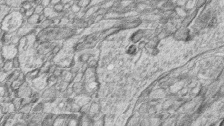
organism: Zebrafish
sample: synaptic ribbons in rod cells and cone cells